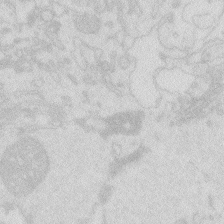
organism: Zebrafish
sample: Macrophage